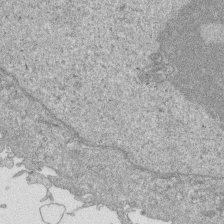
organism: Human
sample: HeLa cell HIV synapse